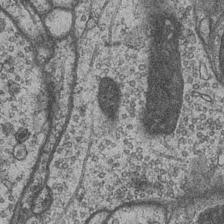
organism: Drosophila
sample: Optic medulla